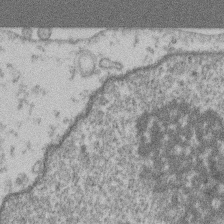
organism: Mouse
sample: T cell stromal cell synapse